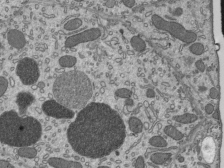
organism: Mouse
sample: Mouse epididymis efferent ductule cilia